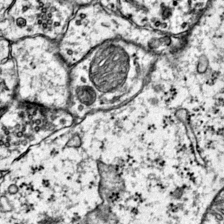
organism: Mouse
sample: Primary visual cortex